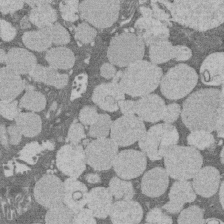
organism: Rat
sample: Salivary granule